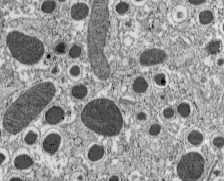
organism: C57BL Mouse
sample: Pancreatic islet